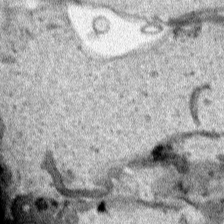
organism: Human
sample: Mitochondria in HCT116 cells